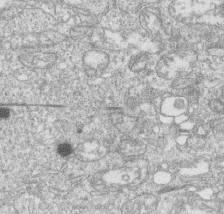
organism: Human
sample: HeLa cell HIV synapse